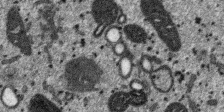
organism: Human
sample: Lung epithelial cells infected with SARS-CoV-2